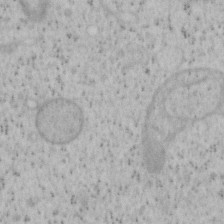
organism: Human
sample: HeLa cells